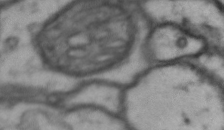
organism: Drosophila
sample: Brain